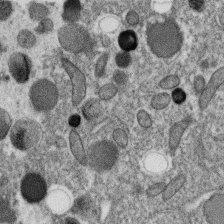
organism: C. elegans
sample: C. elegans oocyte; sperm cells